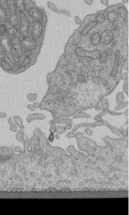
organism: Human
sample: Retinal organoid Rod and Cone cells